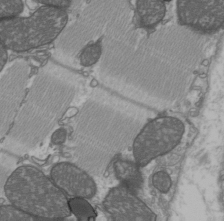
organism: C57BL Mouse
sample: Heart